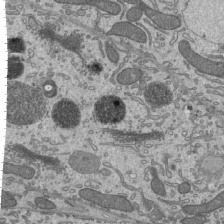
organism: Mouse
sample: Mouse epididymis efferent ductule cilia